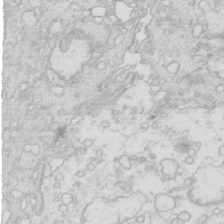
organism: Mouse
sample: Multiciliated cells